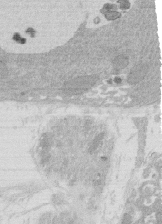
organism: Rat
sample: Salivary granule